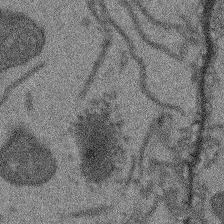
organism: Arabidopsis thaliana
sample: Root tip